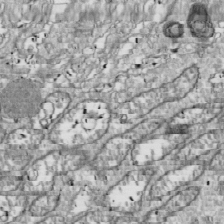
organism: Drosophila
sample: Cell division; meiosis; drosophila spermatocytes